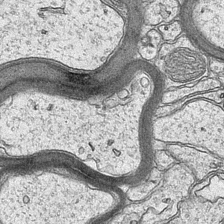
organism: Mouse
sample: CA1 Hippocampus